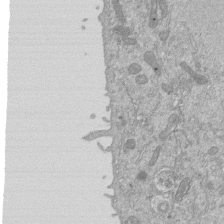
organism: Mouse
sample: ED-1 cell nuclei; centrioles